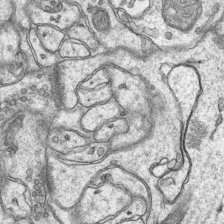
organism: Mouse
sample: CA1 Hippocampus